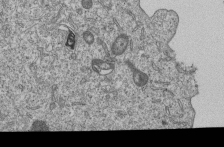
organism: Human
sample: MDA-MB-231 cells